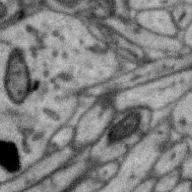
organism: Zebra finch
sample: Brain